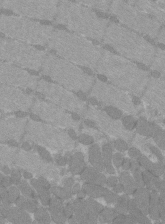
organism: C57BL Mouse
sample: Tibialis anterior muscle cell